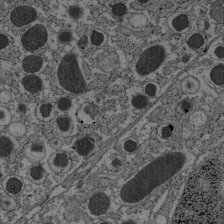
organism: C57BL Mouse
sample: Pancreatic islet